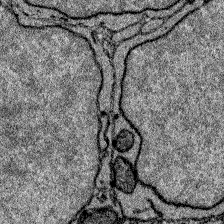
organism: Zebrafish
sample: Larval olfactory bulb